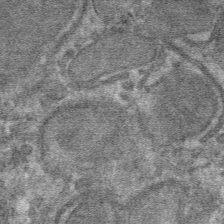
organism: Mouse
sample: Mouse hepatocytes